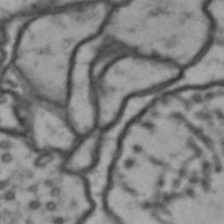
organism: Drosophila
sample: Brain